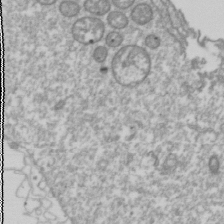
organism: Drosophila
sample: Cell division; meiosis; drosophila spermatocytes